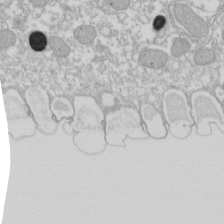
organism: Xenopus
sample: Cilia; centrioles in frog embryo cells